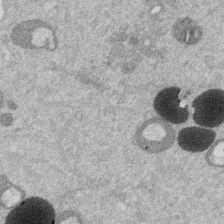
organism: Mouse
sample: Dividing mouse embryo 1 cell stage